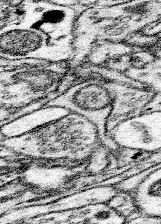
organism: Mouse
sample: Somatosensory cortex neuropil